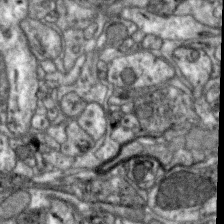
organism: Zebra finch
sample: Brain